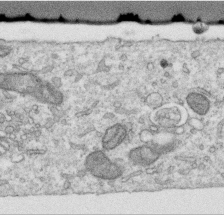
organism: Human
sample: Centriole in RPE cells